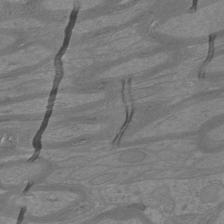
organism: Mouse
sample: Cortical neurons